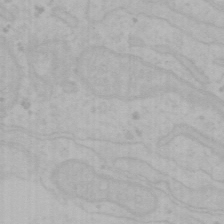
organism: Mouse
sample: Choroid plexus